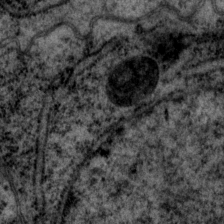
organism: P. pacificus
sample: Pharynx